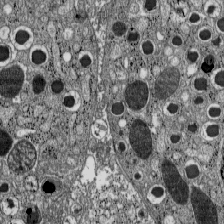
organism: C57BL Mouse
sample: Pancreatic islet